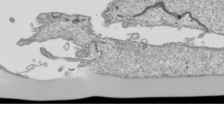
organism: Human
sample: Mitochondria in HCT116 cells